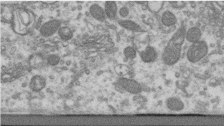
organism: Human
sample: Centriole in RPE cells